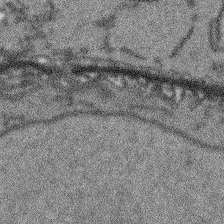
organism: Arabidopsis thaliana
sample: Root tip